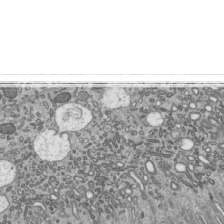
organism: Mouse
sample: Mouse epididymis efferent ductule cilia